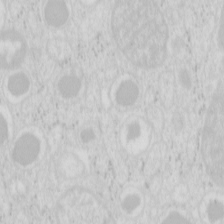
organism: Mouse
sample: Pancreas